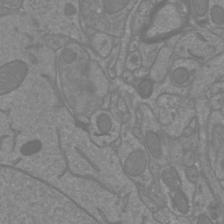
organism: Mouse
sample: Cortical neurons